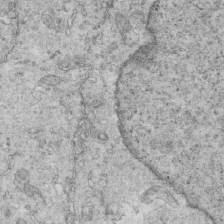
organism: Mouse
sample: Multiciliated cells